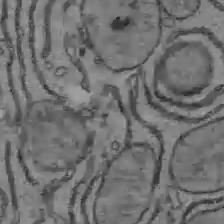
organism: C57BL Mouse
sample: Liver